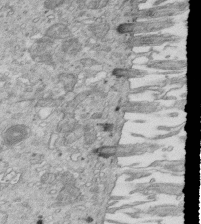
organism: Mouse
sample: Multiciliated cells